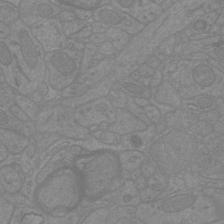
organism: Mouse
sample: Cortical neurons